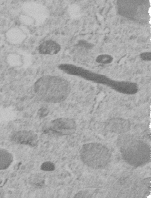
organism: C. elegans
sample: C. elegans embryo early stage